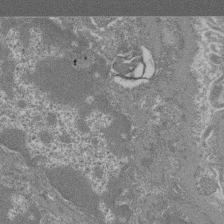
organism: Mouse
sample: Glomerulus